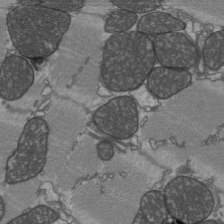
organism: C57BL Mouse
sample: Heart